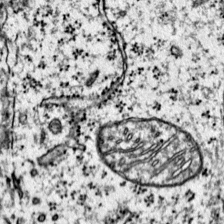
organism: Mouse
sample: Primary visual cortex